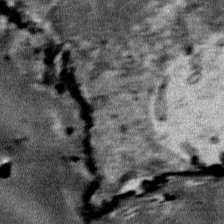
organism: Mouse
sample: Mouse Salivary gland